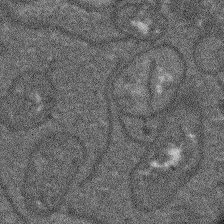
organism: Arabidopsis thaliana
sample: Root tip